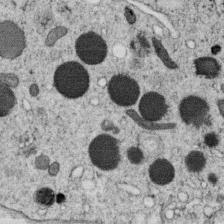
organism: C. elegans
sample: C. elegans oocyte; sperm cells